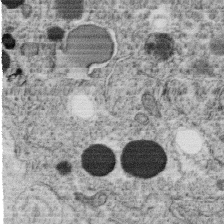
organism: C. elegans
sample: C. elegans oocyte; sperm cells